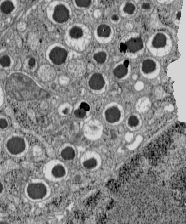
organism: C57BL Mouse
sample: Pancreatic islet